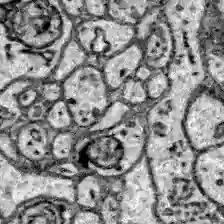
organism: Zebrafish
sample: Brain